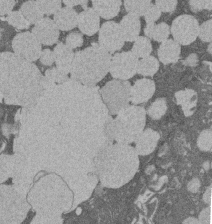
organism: Rat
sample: Salivary granule